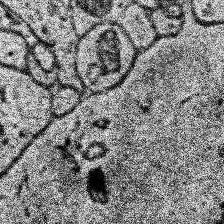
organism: Human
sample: Temporal Lobe